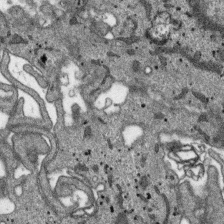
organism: Human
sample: Lung epithelial cells, uninfected (mock) control